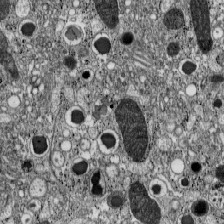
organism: C57BL Mouse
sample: Pancreatic islet